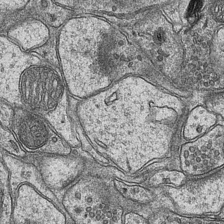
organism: Mouse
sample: CA1 Hippocampus